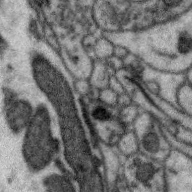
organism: Zebra finch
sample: Brain